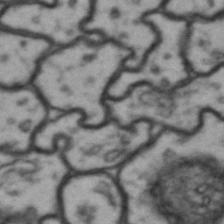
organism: Drosophila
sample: Brain